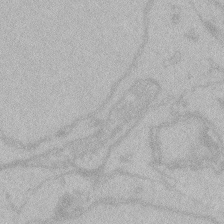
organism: Zebrafish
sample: Macrophage infected with Toxoplasma gondii